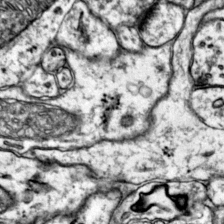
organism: Mouse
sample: Primary visual cortex